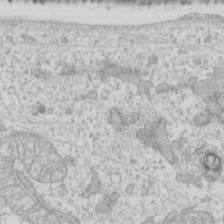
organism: Human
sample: Fibroblast cells